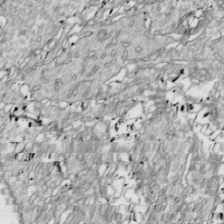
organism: Drosophila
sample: Cell division; meiosis; drosophila spermatocytes